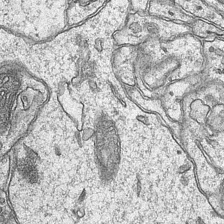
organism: Mouse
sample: CA1 Hippocampus